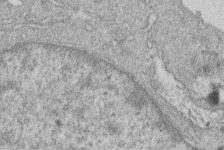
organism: Human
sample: Macrophage cells